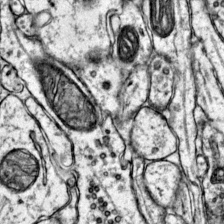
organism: Mouse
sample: Primary visual cortex